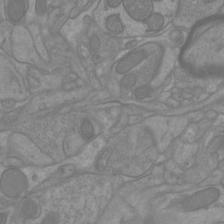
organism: Mouse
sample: Cortical neurons